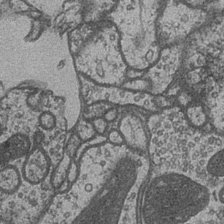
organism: Drosophila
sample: Optic medulla